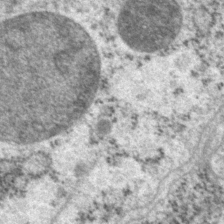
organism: P. pacificus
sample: Pharynx